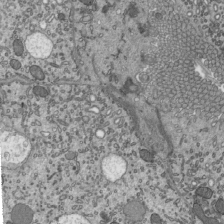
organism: Mouse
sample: Mouse epididymis efferent ductule cilia